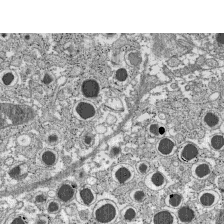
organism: C57BL Mouse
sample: Pancreatic islet